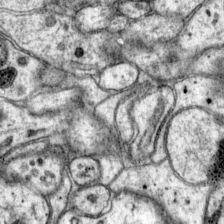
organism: Mouse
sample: Primary visual cortex